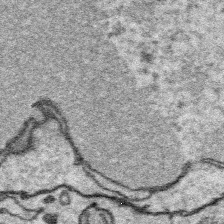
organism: Platynereis dumerilii